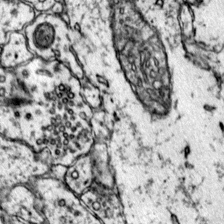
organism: Mouse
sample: Primary visual cortex